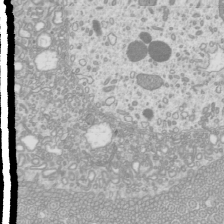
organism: Mouse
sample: Cilia; mouse epididymis